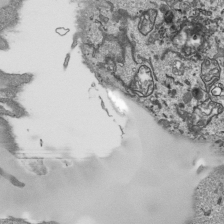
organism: Human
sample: Mitochondria in HCT116 cells